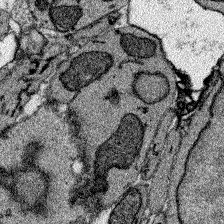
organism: Zebrafish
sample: Larval olfactory bulb